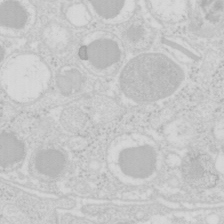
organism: Mouse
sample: Pancreas